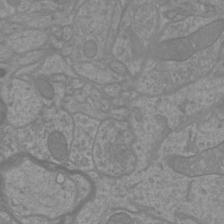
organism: Mouse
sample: Cortical neurons